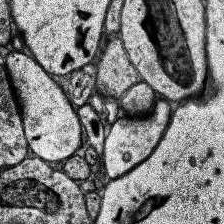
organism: Human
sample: Temporal Lobe